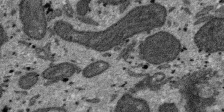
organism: Human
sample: Lung epithelial cells, uninfected (mock) control